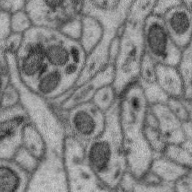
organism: Zebra finch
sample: Brain